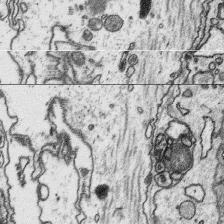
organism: Platynereis dumerilii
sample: Parapodia